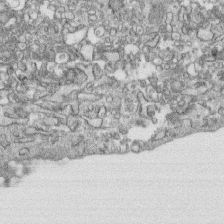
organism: Human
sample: CRL-1474